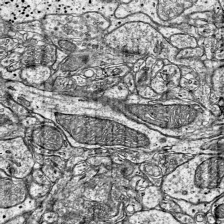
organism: Mouse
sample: Visual Cortex